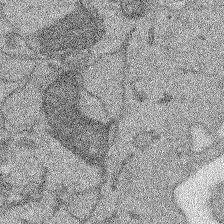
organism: Human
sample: HeLa cells